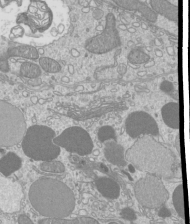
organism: Mouse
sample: Cilia; mouse epididymis